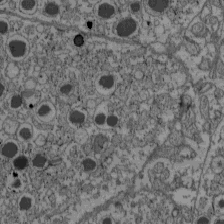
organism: C57BL Mouse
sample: Pancreatic islet